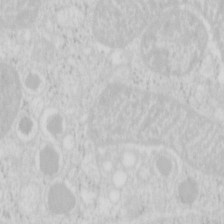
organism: Mouse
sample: Pancreas